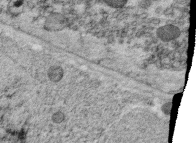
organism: C. elegans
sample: C. elegans oocyte; sperm cells